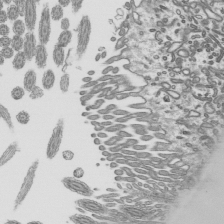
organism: Mouse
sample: Mouse epididymis efferent ductule cilia